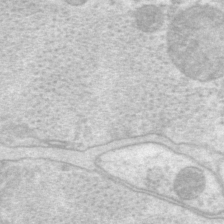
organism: P. pacificus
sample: Pharynx